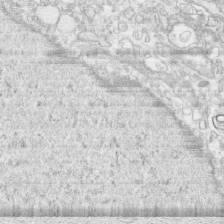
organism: Human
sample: CRL-1474